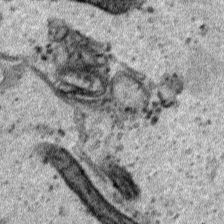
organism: Human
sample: Mitochondria in HCT116 cells